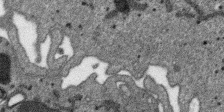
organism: Human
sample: Lung epithelial cells infected with SARS-CoV-2